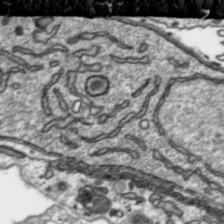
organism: Toxoplasma gondii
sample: Parasites in a vacuole inside a host cell